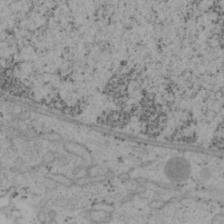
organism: Human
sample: HeLa cells